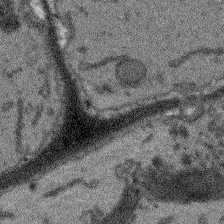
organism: Arabidopsis thaliana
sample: Root tip